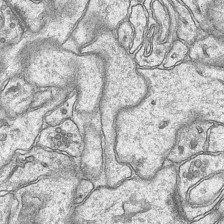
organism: Mouse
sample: CA1 Hippocampus